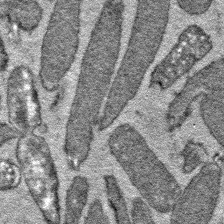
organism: E. coli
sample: E. Coli Bacteria